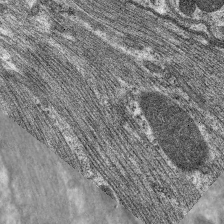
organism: C. elegans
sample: Pharynx